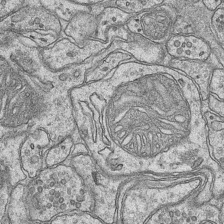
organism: Mouse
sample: CA1 Hippocampus